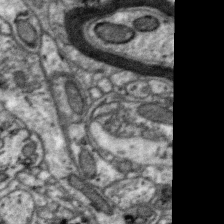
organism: Zebra finch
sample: Brain